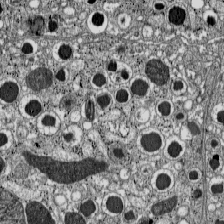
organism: C57BL Mouse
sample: Pancreatic islet